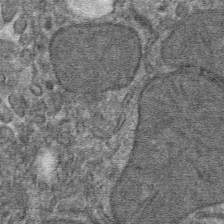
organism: Mouse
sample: Mouse hepatocytes